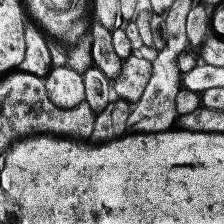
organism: Human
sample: Temporal Lobe